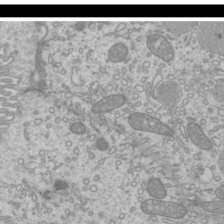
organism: Mouse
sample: Cilia; mouse epididymis